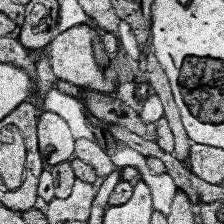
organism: Human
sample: Temporal Lobe